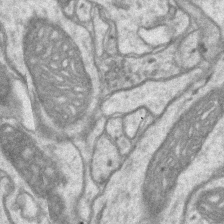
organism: Mouse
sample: CA1 Hippocampus